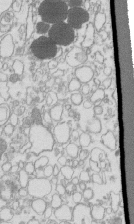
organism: Mouse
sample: Macrophages